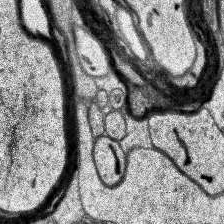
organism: Human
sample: Temporal Lobe